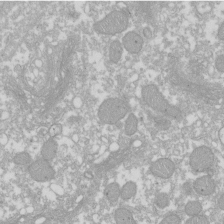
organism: Xenopus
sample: Cilia; centrioles in frog embryo cells